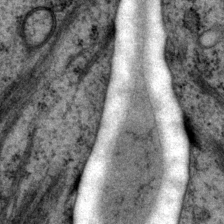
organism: P. pacificus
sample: Pharynx